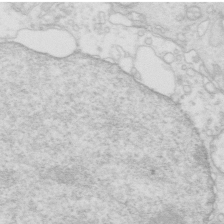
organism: Mouse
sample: Multiciliated cells